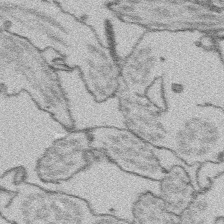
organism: Platynereis dumerilii